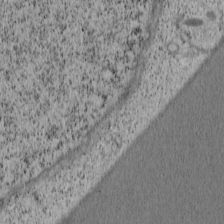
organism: African green monkey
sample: COS-7 cells